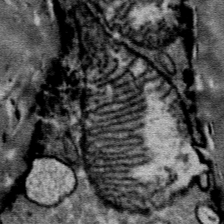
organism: Mouse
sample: Mouse Salivary gland